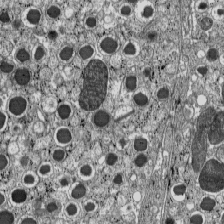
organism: C57BL Mouse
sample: Pancreatic islet